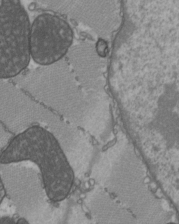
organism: C57BL Mouse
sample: Heart